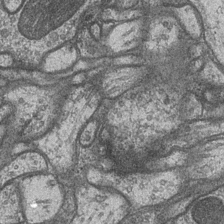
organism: Drosophila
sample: Optic medulla